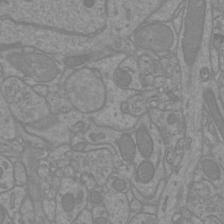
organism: Mouse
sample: Cortical neurons